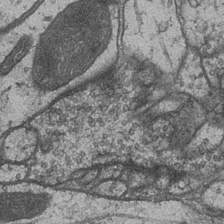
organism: Drosophila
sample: Optic medulla